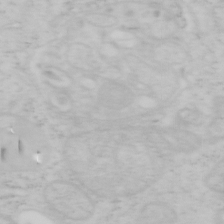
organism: Mouse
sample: OT-I killer T cells with ID8 ovarian cancer cells